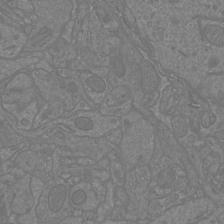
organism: Mouse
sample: Cortical neurons